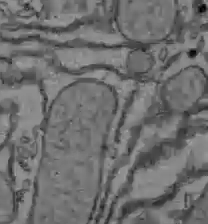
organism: C57BL Mouse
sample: Liver